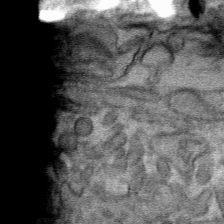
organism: Mouse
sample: Mouse hepatocytes